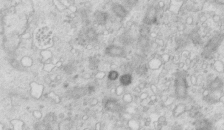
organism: Mouse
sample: Multiciliated cells